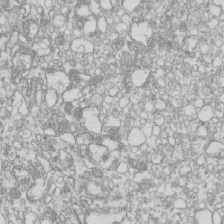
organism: Mouse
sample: Macrophages